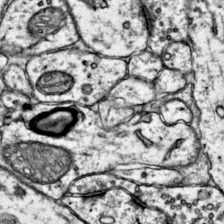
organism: Mouse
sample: Primary visual cortex